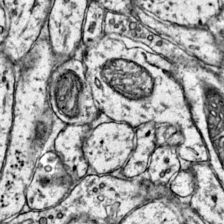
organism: Mouse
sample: Primary visual cortex